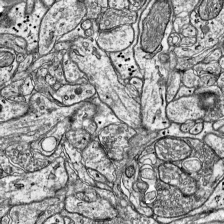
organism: Mouse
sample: Visual Cortex